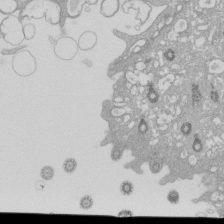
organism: Xenopus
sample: Cilia; centrioles in frog embryo cells